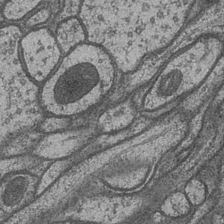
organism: Drosophila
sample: Optic medulla